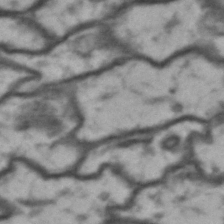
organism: Drosophila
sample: Brain